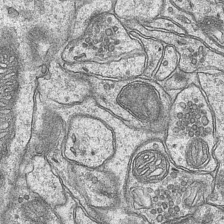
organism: Mouse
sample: CA1 Hippocampus